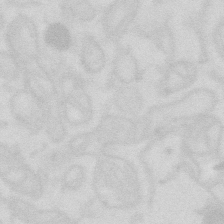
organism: Human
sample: HeLa cells